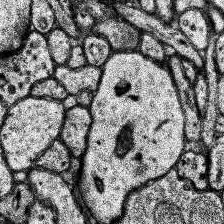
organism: Human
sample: Temporal Lobe